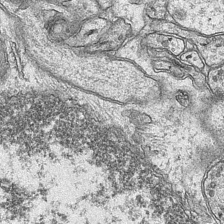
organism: Mouse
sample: CA1 Hippocampus